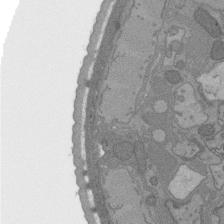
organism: C. elegans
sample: AFD neurons C. elegans